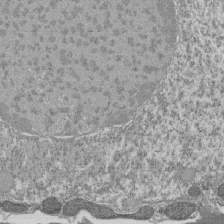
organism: Tetrahymena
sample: Cilia in tetrahymena